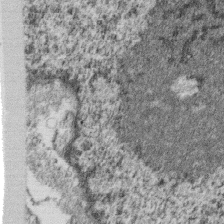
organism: African green monkey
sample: Vero E6 cells infected with SARS-CoV-2